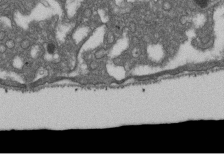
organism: Drosophila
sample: Nephrocyte